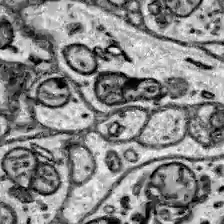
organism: Zebrafish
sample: Brain